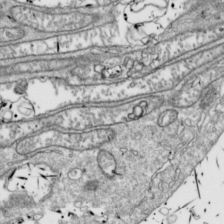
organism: Drosophila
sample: Cell division; meiosis; drosophila spermatocytes